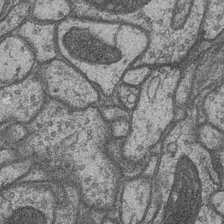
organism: Drosophila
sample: Optic medulla